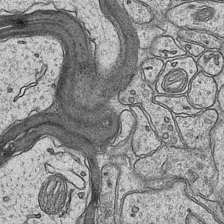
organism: Mouse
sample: CA1 Hippocampus